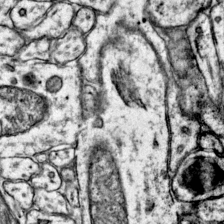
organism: Mouse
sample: Primary visual cortex